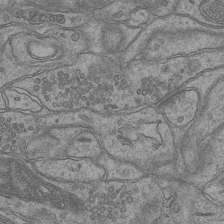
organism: Mouse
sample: CA1 Hippocampus